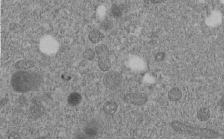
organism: C. elegans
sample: C. elegans embryo early stage